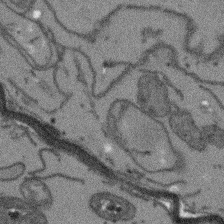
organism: Arabidopsis thaliana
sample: Root tip